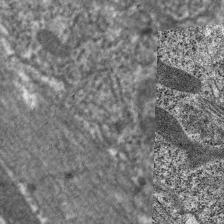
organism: C. elegans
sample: Pharynx